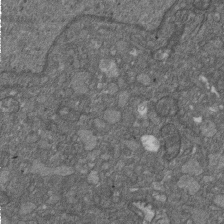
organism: Drosophila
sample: Nephrocyte